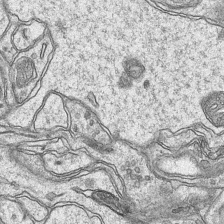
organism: Mouse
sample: CA1 Hippocampus